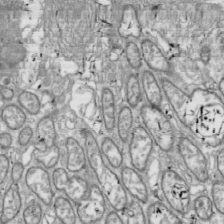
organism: Drosophila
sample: Cell division; meiosis; drosophila spermatocytes